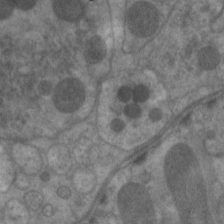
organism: C. elegans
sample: Pharynx